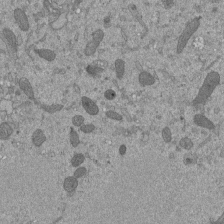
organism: Mouse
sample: ED-1 cell nuclei; centrioles